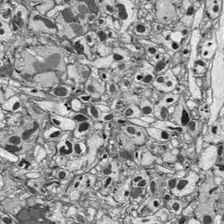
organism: Drosophila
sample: Optic lobe